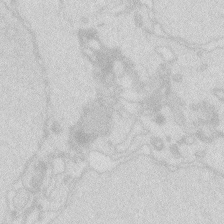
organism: Zebrafish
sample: Macrophage